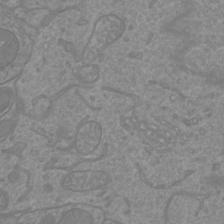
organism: Mouse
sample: Cortical neurons